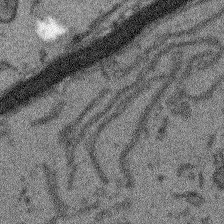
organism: Arabidopsis thaliana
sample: Root tip